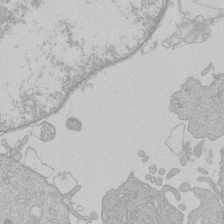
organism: Human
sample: Macrophage cells